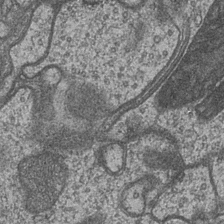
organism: Drosophila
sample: Optic medulla